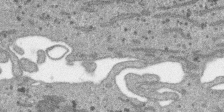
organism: Human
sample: Lung epithelial cells infected with SARS-CoV-2